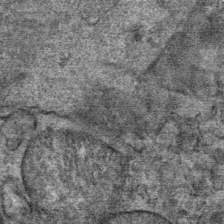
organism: Mouse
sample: Mouse Salivary gland